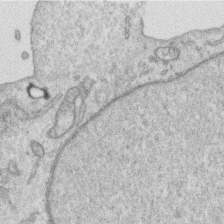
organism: Human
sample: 1205lu cells